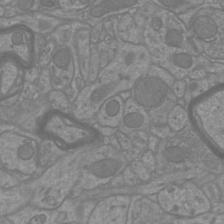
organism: Mouse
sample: Cortical neurons